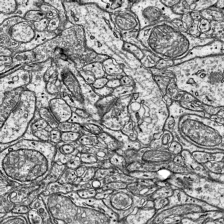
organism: Mouse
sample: Visual Cortex